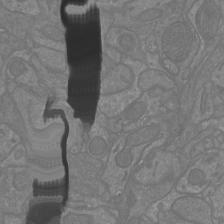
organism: Mouse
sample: Cortical neurons